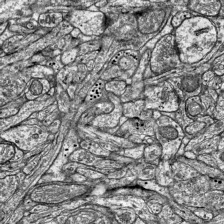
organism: Mouse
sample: Visual Cortex